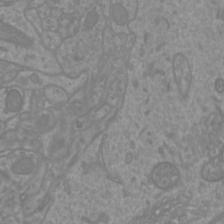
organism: Mouse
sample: Cortical neurons